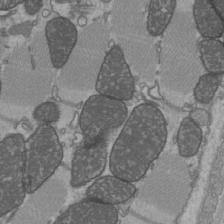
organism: C57BL Mouse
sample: Heart